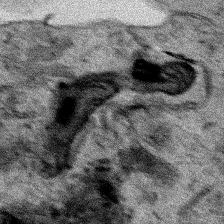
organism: Human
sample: Mitochondria in HCT116 cells